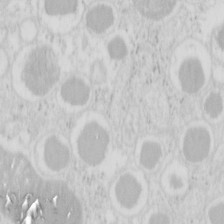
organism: Mouse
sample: Pancreas